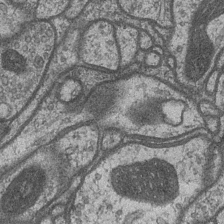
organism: Drosophila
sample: Optic medulla